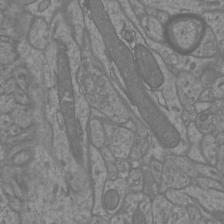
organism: Mouse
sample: Cortical neurons